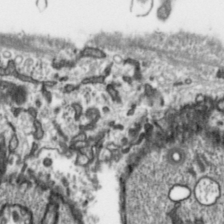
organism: Toxoplasma gondii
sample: Parasites in a vacuole inside a host cell